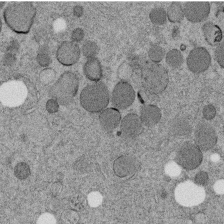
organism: C. elegans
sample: C. elegans embryo early stage